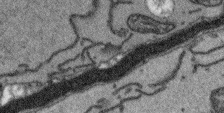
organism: Arabidopsis thaliana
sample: Root tip